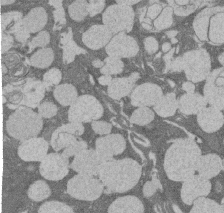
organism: Rat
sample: Salivary granule